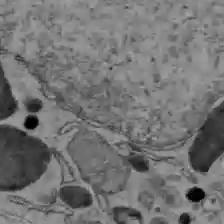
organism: C57BL Mouse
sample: Liver